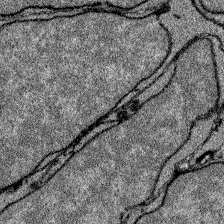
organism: Zebrafish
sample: Larval olfactory bulb